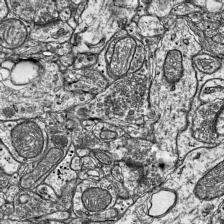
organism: Mouse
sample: Visual Cortex